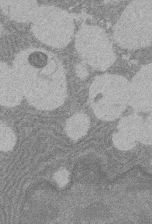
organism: Rat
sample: Salivary granule